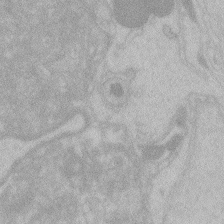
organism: Zebrafish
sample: Macrophage infected with Toxoplasma gondii